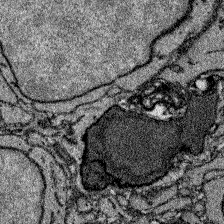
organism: Zebrafish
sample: Larval olfactory bulb